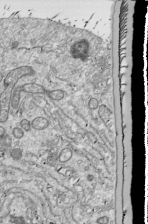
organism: Drosophila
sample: Cell division; meiosis; drosophila spermatocytes